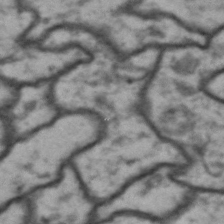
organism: Drosophila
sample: Brain